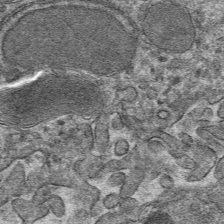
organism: Mouse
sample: Mouse hepatocytes